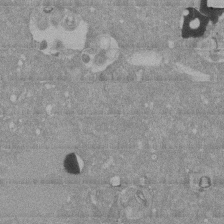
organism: Mouse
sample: ED-1 cell nuclei; centrioles